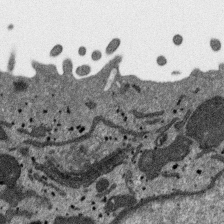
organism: Human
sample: Lung epithelial cells, uninfected (mock) control